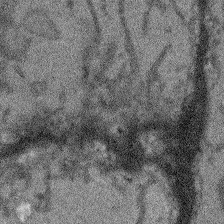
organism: Arabidopsis thaliana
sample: Root tip